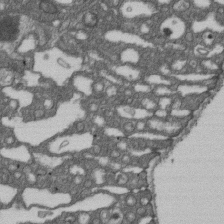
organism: Drosophila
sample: Nephrocyte